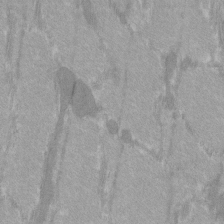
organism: C57BL Mouse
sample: Tibialis anterior muscle cell